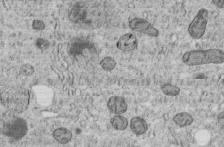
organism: C. elegans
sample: C. elegans embryo early stage